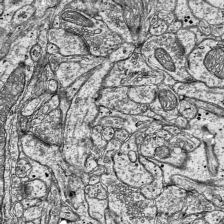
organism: Mouse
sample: Visual Cortex